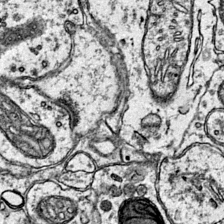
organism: Mouse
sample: Primary visual cortex